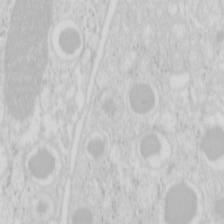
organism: Mouse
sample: Pancreas